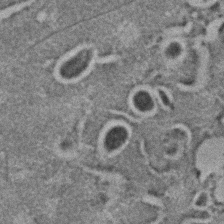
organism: C. elegans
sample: C. elegans embryo